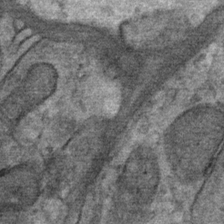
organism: Mouse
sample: Mouse Salivary gland